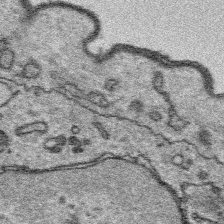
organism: Platynereis dumerilii